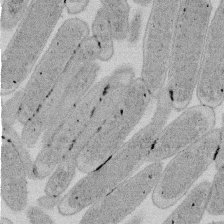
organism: E. coli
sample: Bacterial nucleoid